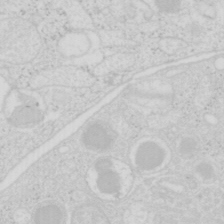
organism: Mouse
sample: Pancreas